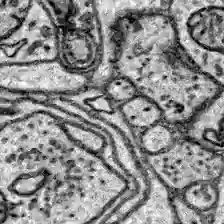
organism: Zebrafish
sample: Brain